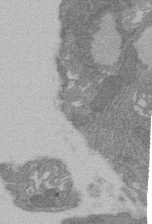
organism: Rat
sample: Salivary granule